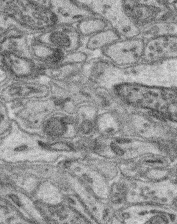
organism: Mouse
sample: Retina